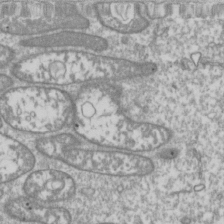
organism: Drosophila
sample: Cell division; meiosis; drosophila spermatocytes